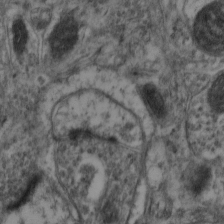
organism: Mouse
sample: Neocortex